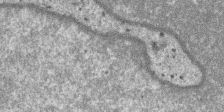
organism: Human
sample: Lung epithelial cells infected with SARS-CoV-2